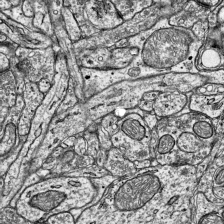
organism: Mouse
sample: Visual Cortex